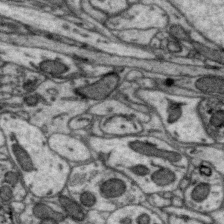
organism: Zebra finch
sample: Brain